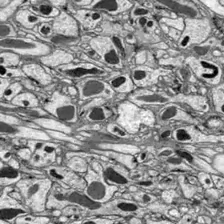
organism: Drosophila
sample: Optic lobe